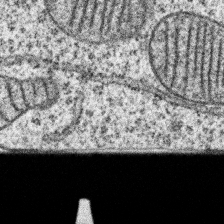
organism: Human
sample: HeLa cells